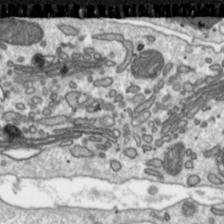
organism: Toxoplasma gondii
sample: Parasites in a vacuole inside a host cell